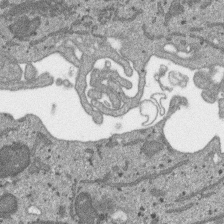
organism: Human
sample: Lung epithelial cells infected with SARS-CoV-2